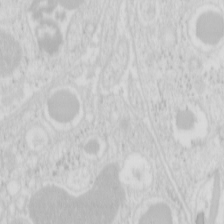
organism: Mouse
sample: Pancreas